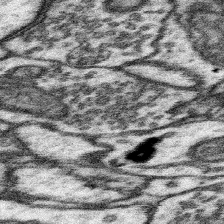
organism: Mouse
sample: Somatosensory cortex neuropil